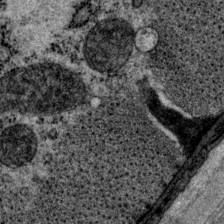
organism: P. pacificus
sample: Pharynx